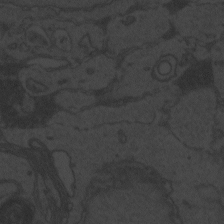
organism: Zebrafish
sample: Macrophage infected with Toxoplasma gondii